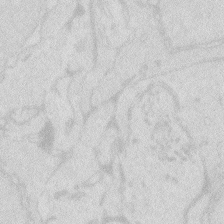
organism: Zebrafish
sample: Macrophage